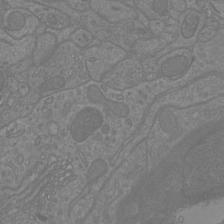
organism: Mouse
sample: Cortical neurons